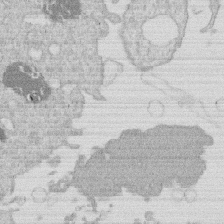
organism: Human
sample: Macrophage cells